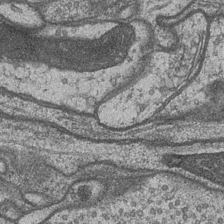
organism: Drosophila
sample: Optic medulla